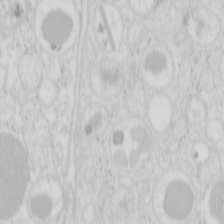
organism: Mouse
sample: Pancreas